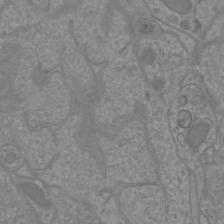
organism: Mouse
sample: Cortical neurons